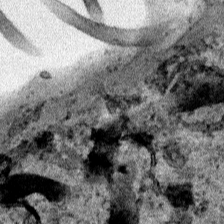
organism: Human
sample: Mitochondria in HCT116 cells